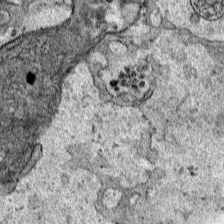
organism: Human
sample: Mitochondria in HCT116 cells